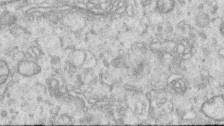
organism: Human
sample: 1205lu cells